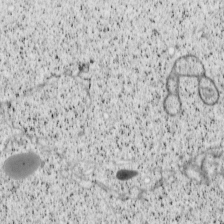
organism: African green monkey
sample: COS-7 cells